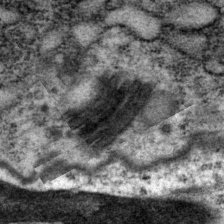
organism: P. pacificus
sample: Pharynx